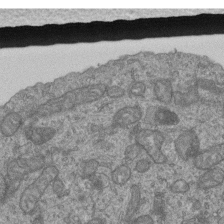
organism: Human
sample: Retinal organoid Rod and Cone cells